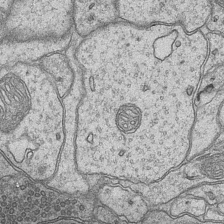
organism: Mouse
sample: CA1 Hippocampus